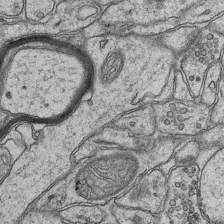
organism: Mouse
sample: CA1 Hippocampus